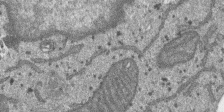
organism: Human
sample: Lung epithelial cells infected with SARS-CoV-2